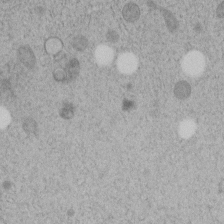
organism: C. elegans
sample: C. elegans embryo early stage